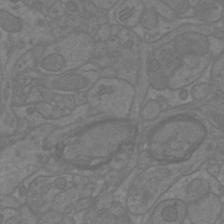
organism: Mouse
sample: Cortical neurons